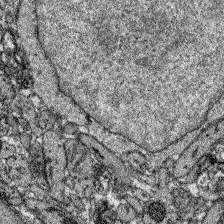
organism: Zebrafish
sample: Larval olfactory bulb